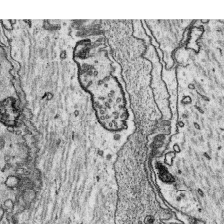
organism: Platynereis dumerilii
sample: Parapodia